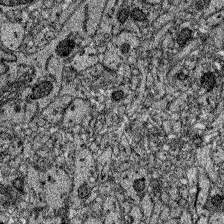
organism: Zebrafish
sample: Larval olfactory bulb